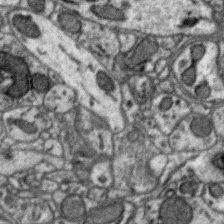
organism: Zebra finch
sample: Brain